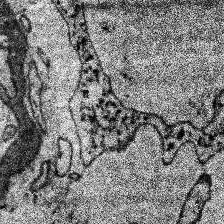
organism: Human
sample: Temporal Lobe